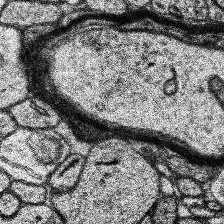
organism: Human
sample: Temporal Lobe